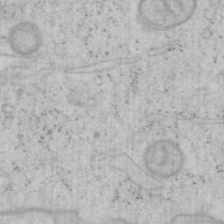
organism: Human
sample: HeLa cells